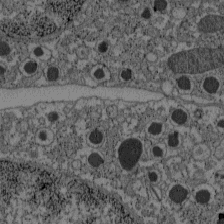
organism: C57BL Mouse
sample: Pancreatic islet